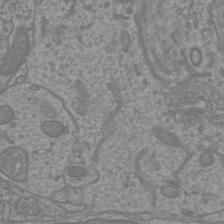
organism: Mouse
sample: Cortical neurons